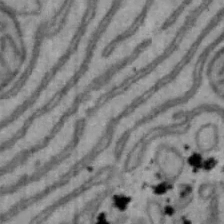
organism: Mouse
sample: Liver